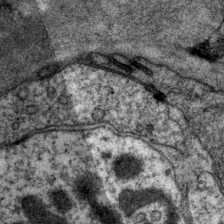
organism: P. pacificus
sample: Pharynx